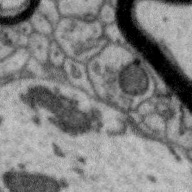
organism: Zebra finch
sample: Brain